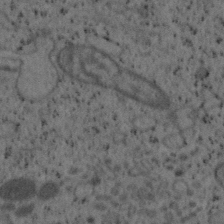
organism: Human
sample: HeLa cells